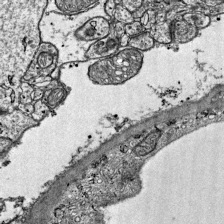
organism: Mouse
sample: Visual Cortex